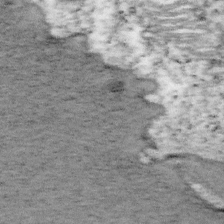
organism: Mouse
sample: OT-I killer T cells with ID8 ovarian cancer cells